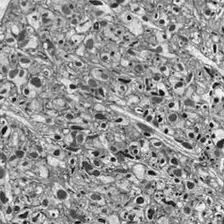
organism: Drosophila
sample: Optic lobe